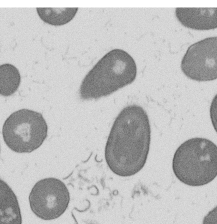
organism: B. subtilis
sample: Bacterial spore